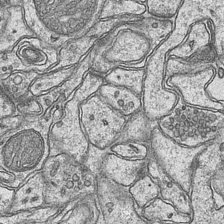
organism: Mouse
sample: CA1 Hippocampus